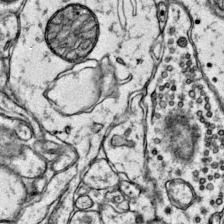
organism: Mouse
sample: Primary visual cortex